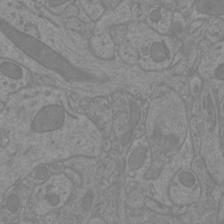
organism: Mouse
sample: Cortical neurons